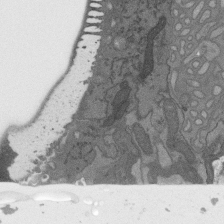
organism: C. elegans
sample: AFD neurons C. elegans